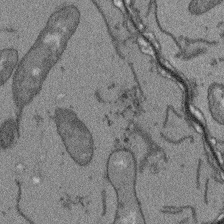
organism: Arabidopsis thaliana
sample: Root tip